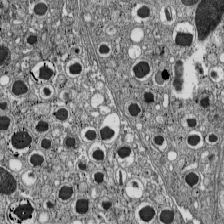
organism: C57BL Mouse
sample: Pancreatic islet